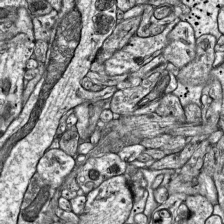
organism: Mouse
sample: Visual Cortex